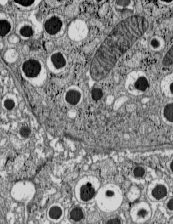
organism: C57BL Mouse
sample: Pancreatic islet